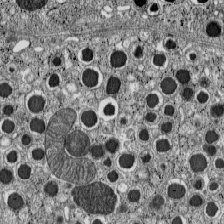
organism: C57BL Mouse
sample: Pancreatic islet